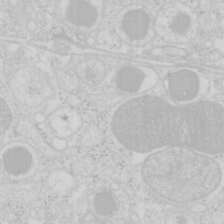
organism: Mouse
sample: Pancreas